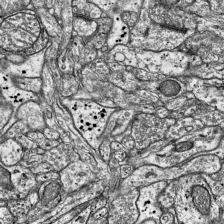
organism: Mouse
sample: Visual Cortex